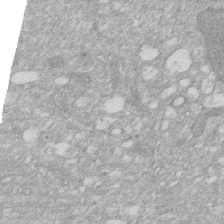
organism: Human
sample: HIV infected U937 cells